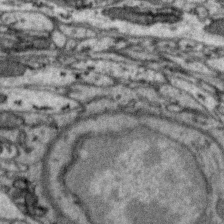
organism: Zebra finch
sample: Brain